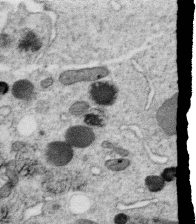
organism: C. elegans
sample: C. elegans oocyte; sperm cells